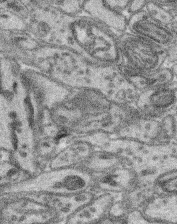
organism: Mouse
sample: Retina